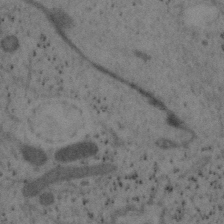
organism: Human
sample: HeLa cells